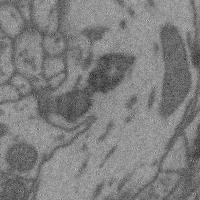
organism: Mouse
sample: Cerebral cortex